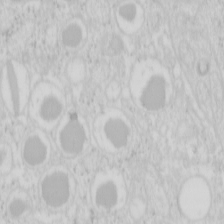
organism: Mouse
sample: Pancreas